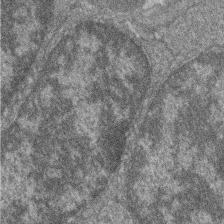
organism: Zebrafish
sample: Cilia; retinal pigment epithelium